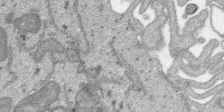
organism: Human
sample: Lung epithelial cells infected with SARS-CoV-2